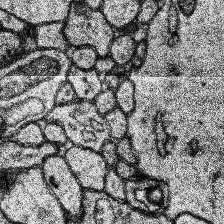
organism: Human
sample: Temporal Lobe